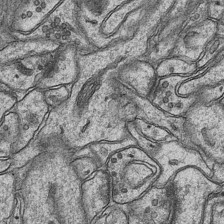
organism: Mouse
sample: CA1 Hippocampus